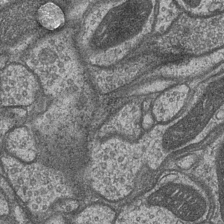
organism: Drosophila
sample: Optic medulla